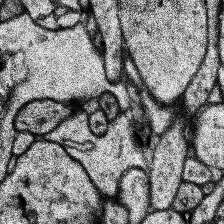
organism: Human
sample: Temporal Lobe